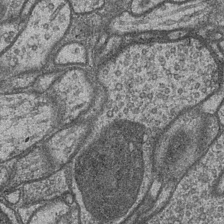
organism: Drosophila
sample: Optic medulla